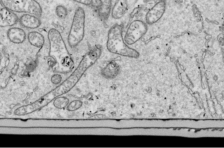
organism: Drosophila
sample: Cell division; meiosis; drosophila spermatocytes